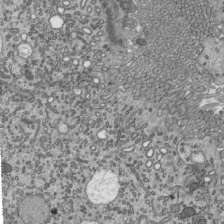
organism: Mouse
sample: Mouse epididymis efferent ductule cilia